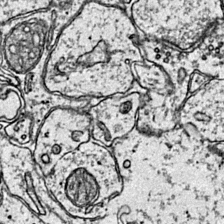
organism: Mouse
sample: Primary visual cortex